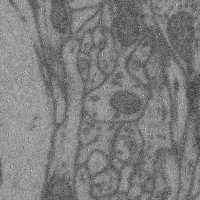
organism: Mouse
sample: Cerebral cortex